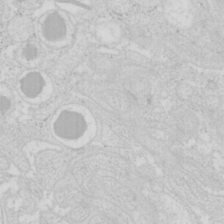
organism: Mouse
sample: Pancreas